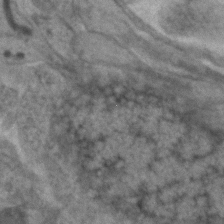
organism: Zebrafish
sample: Zebrafish embryo